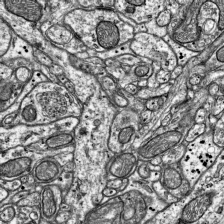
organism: Mouse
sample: Visual Cortex